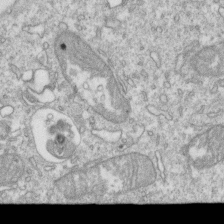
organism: Mouse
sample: Activated OT-1 CD8+ T cells